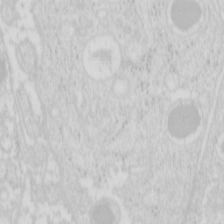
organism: Mouse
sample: Pancreas